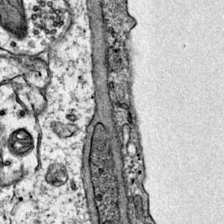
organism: Mouse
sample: Primary visual cortex